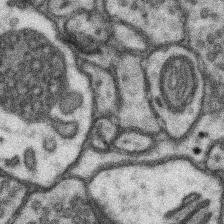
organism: Mouse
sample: Somatosensory cortex neuropil